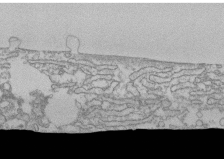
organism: Human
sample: CRL-1474